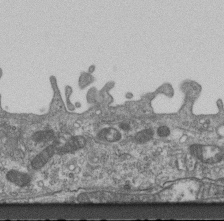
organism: Mouse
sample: Centriole in ependymal cells